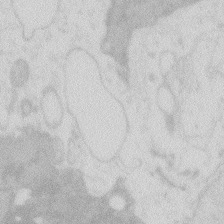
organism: Zebrafish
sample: Macrophage